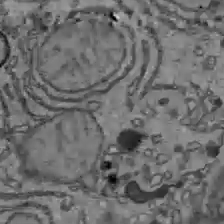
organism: C57BL Mouse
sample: Liver